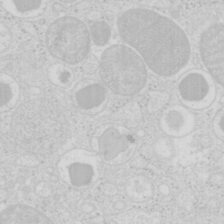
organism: Mouse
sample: Pancreas